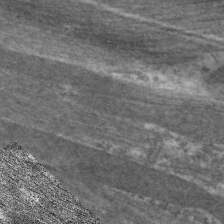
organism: C. elegans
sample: Pharynx